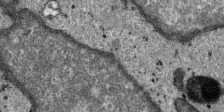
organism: Human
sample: Lung epithelial cells, uninfected (mock) control